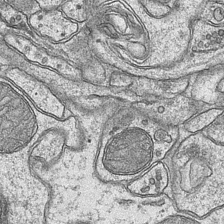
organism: Mouse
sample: CA1 Hippocampus